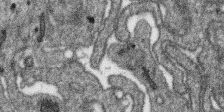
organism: Human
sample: Lung epithelial cells infected with SARS-CoV-2